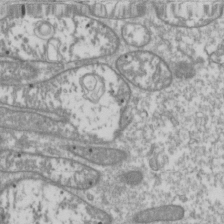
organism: Drosophila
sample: Cell division; meiosis; drosophila spermatocytes